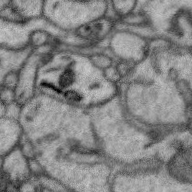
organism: Zebra finch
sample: Brain